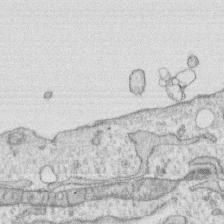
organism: Human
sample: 1205lu cells